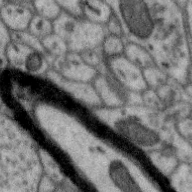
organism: Zebra finch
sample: Brain